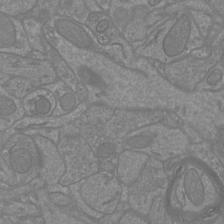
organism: Mouse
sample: Cortical neurons